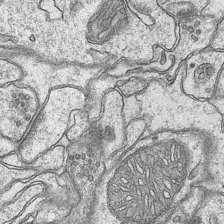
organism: Mouse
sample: CA1 Hippocampus